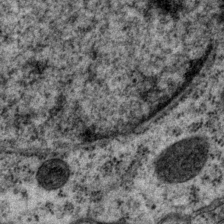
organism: P. pacificus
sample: Pharynx